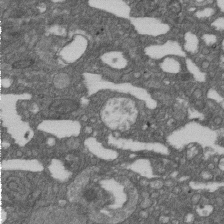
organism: Drosophila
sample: Nephrocyte